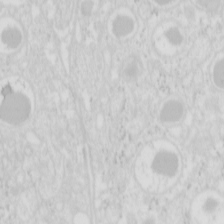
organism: Mouse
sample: Pancreas